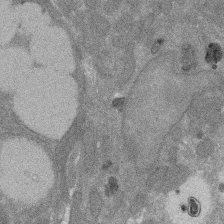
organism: Rat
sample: Salivary granule